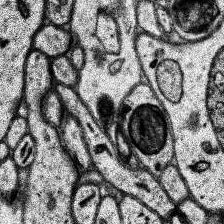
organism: Human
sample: Temporal Lobe